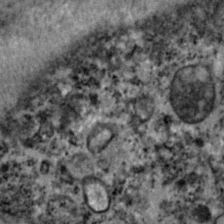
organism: Zebrafish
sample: Zebrafish embryo